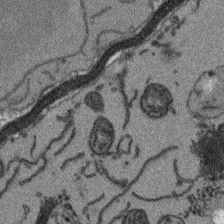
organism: Arabidopsis thaliana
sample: Root tip